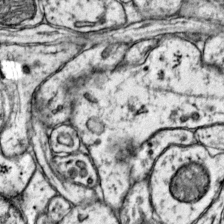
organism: Mouse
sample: Primary visual cortex